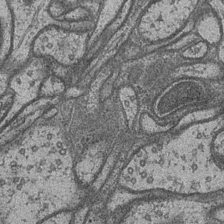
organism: Drosophila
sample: Optic medulla